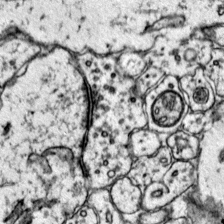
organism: Mouse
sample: Primary visual cortex